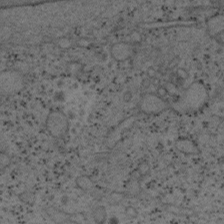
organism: Human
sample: HeLa cells